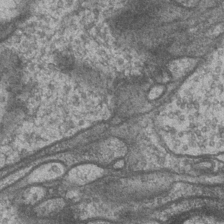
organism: Drosophila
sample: Optic medulla